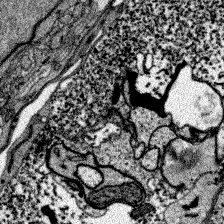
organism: Zebrafish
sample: Larval olfactory bulb